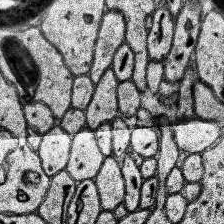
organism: Human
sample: Temporal Lobe